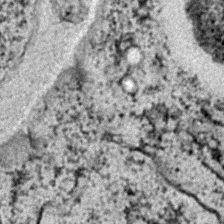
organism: C. elegans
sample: C. elegans embryo